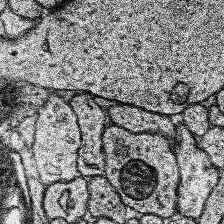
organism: Human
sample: Temporal Lobe